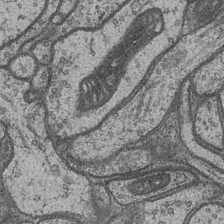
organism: Drosophila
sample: Optic medulla